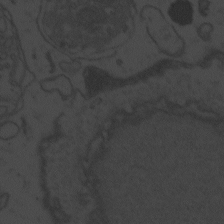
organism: Zebrafish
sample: Macrophage infected with Toxoplasma gondii